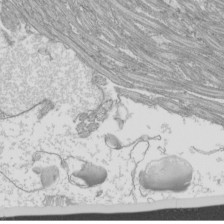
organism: Mouse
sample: Cilia; mouse epididymis